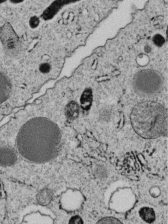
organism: C. elegans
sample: C. elegans embryo early stage